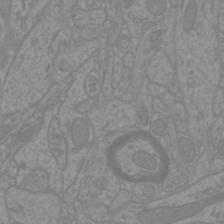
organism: Mouse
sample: Cortical neurons